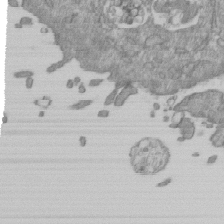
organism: Mouse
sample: ED-1 cell nuclei; centrioles